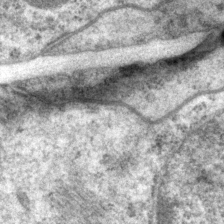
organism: P. pacificus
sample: Pharynx